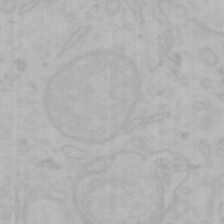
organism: Mouse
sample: Choroid plexus